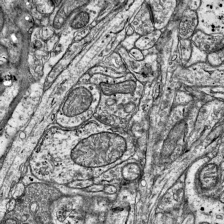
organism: Mouse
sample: Visual Cortex